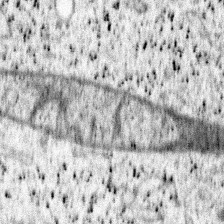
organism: Human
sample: HeLa cells